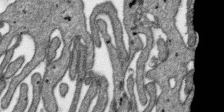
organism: Human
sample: Lung epithelial cells, uninfected (mock) control